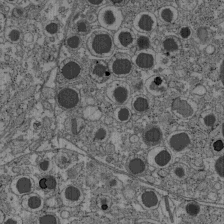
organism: C57BL Mouse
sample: Pancreatic islet